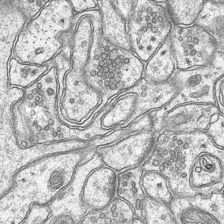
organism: Mouse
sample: CA1 Hippocampus